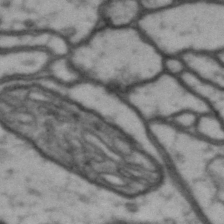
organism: Drosophila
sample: Brain